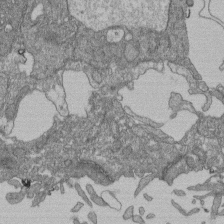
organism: Human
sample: Retinal organoid Rod and Cone cells